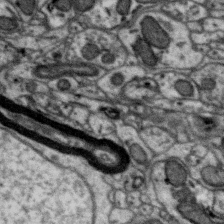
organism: Zebra finch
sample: Brain